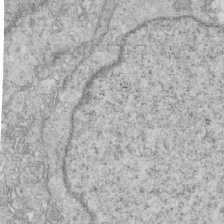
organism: Mouse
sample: Multiciliated cells